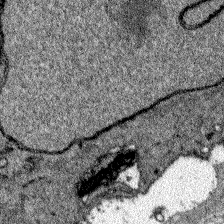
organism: Zebrafish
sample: Larval olfactory bulb